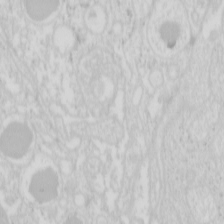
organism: Mouse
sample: Pancreas